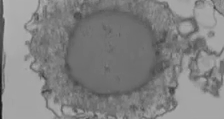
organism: Human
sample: Jurkat E6-1 and CD4 cells